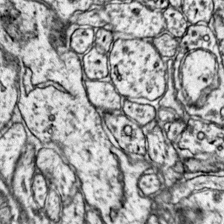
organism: Mouse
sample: Primary visual cortex